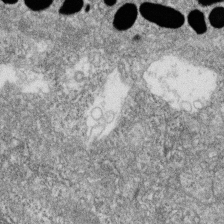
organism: Zebrafish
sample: Cilia; retinal pigment epithelium